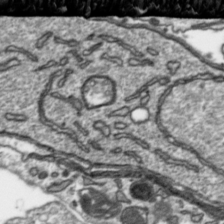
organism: Toxoplasma gondii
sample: Parasites in a vacuole inside a host cell